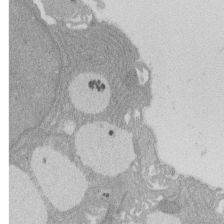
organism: Rat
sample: Salivary granule